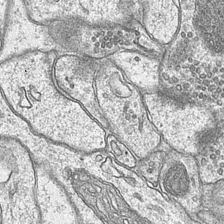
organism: Mouse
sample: CA1 Hippocampus